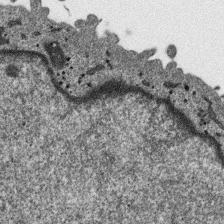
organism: Human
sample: Lung epithelial cells infected with SARS-CoV-2